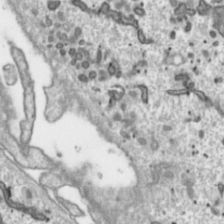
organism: Toxoplasma gondii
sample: Parasites in a vacuole inside a host cell